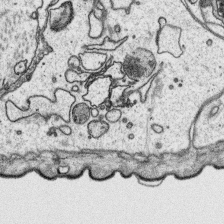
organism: Platynereis dumerilii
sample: Parapodia